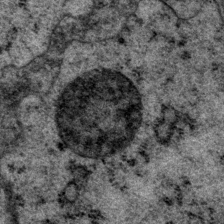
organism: P. pacificus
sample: Pharynx